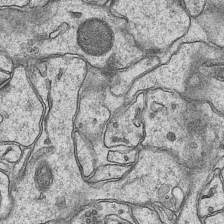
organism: Mouse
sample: CA1 Hippocampus